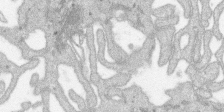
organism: Human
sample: Lung epithelial cells infected with SARS-CoV-2